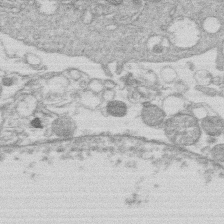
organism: Human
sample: Macrophage cells